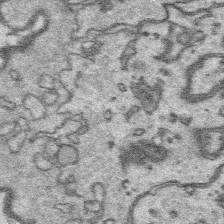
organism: Platynereis dumerilii